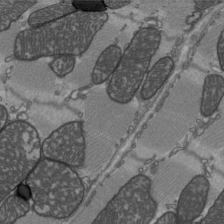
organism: C57BL Mouse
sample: Heart